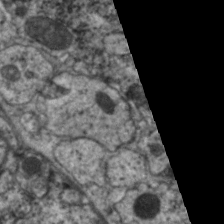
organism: C. elegans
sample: Pharynx